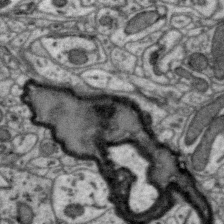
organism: Zebra finch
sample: Brain